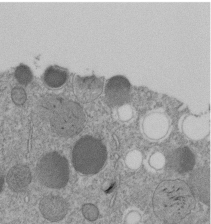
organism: C. elegans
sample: C. elegans embryo early stage